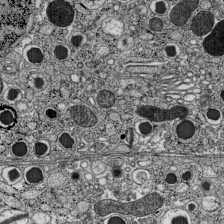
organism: C57BL Mouse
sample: Pancreatic islet